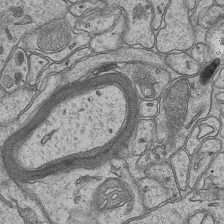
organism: Mouse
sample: CA1 Hippocampus